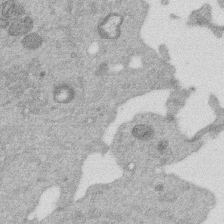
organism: Mouse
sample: Dividing mouse embryo 1 cell stage